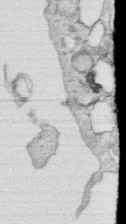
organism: Human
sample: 1205lu cells